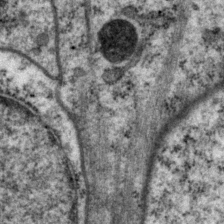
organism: P. pacificus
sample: Pharynx